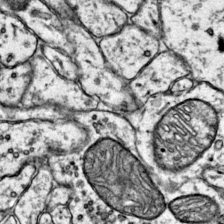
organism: Mouse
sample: Primary visual cortex